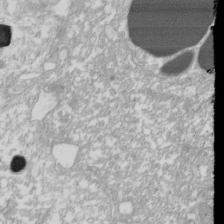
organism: Xenopus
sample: Cilia; centrioles in frog embryo cells